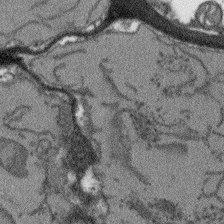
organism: Arabidopsis thaliana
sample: Root tip